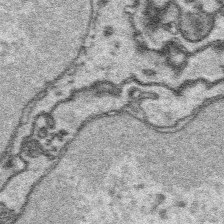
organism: Platynereis dumerilii